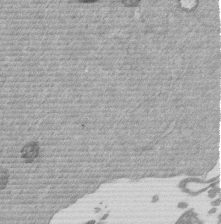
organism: Mouse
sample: Dividing mouse embryo 1 cell stage